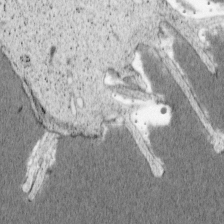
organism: African green monkey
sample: COS-7 cells